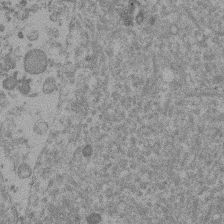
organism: Mouse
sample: Dividing mouse embryo 1 cell stage